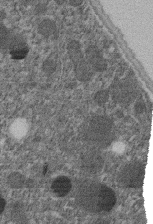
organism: C. elegans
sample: C. elegans embryo early stage